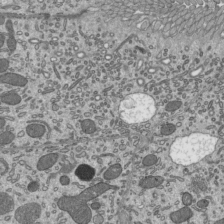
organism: Mouse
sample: Mouse epididymis efferent ductule cilia